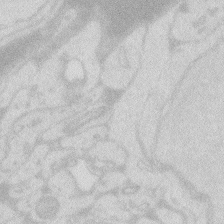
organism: Zebrafish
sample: Macrophage